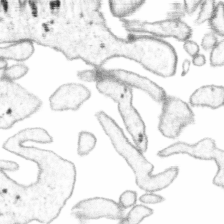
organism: Human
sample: HeLa cells